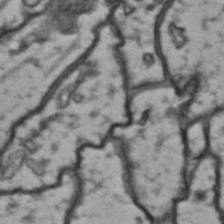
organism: Drosophila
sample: Brain